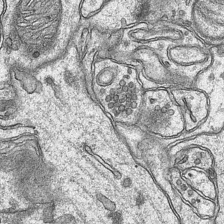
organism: Mouse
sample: CA1 Hippocampus